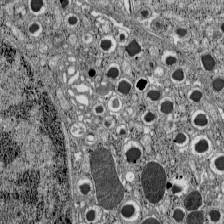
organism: C57BL Mouse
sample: Pancreatic islet